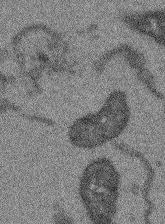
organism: Arabidopsis thaliana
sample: Root tip